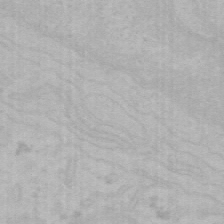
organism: Mouse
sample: Choroid plexus